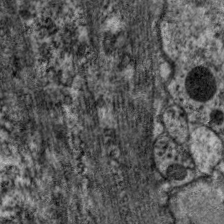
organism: C. elegans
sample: Pharynx